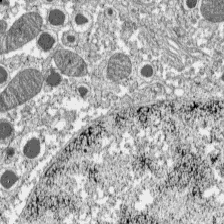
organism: C57BL Mouse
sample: Pancreatic islet